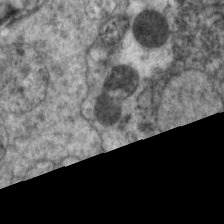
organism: C. elegans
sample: Pharynx